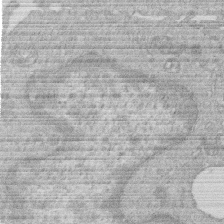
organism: Human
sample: Macrophage cells